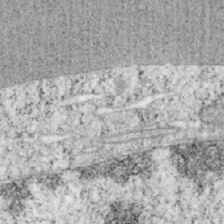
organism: Mouse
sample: OT-I killer T cells with ID8 ovarian cancer cells